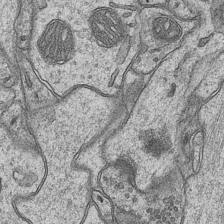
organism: Mouse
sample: CA1 Hippocampus